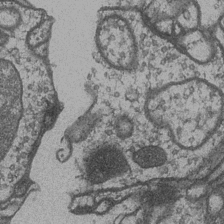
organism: Drosophila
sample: Optic medulla